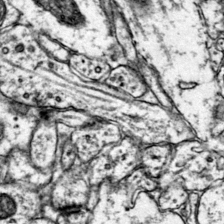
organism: Mouse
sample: Primary visual cortex